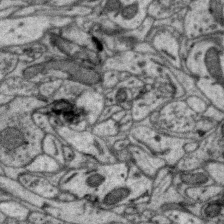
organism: Zebra finch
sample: Brain